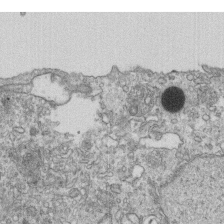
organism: Human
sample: HeLa cell HIV synapse